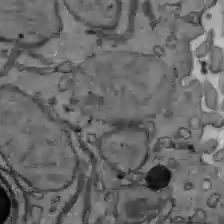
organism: C57BL Mouse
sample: Liver